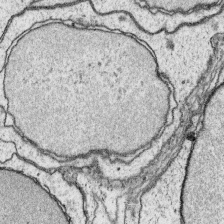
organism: Platynereis dumerilii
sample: Parapodia